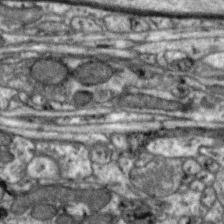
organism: Zebra finch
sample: Brain